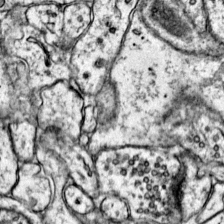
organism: Mouse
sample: Primary visual cortex